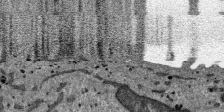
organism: Human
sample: Lung epithelial cells, uninfected (mock) control